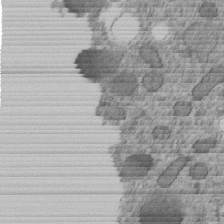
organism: C. elegans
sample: C. elegans embryo early stage